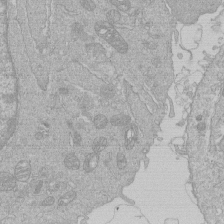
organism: Human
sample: Macrophage cells